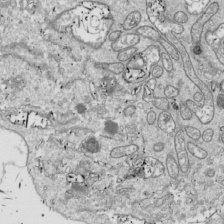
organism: Drosophila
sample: Cell division; meiosis; drosophila spermatocytes